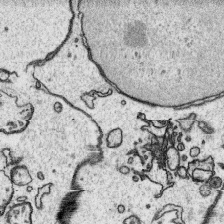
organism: Platynereis dumerilii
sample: Parapodia